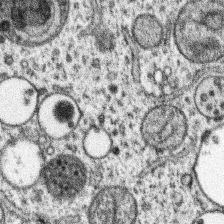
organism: Human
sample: HeLa cells